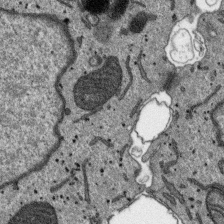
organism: Human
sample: Lung epithelial cells, uninfected (mock) control